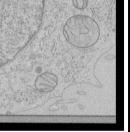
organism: Human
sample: Mitochondria in HCT116 cells